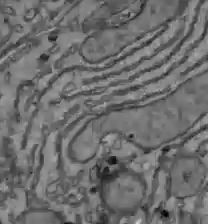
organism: C57BL Mouse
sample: Liver